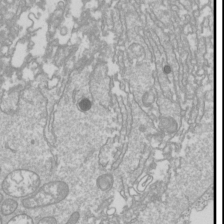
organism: Drosophila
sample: Cell division; meiosis; drosophila spermatocytes